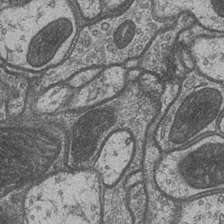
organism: Drosophila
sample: Optic medulla